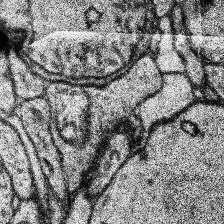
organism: Human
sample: Temporal Lobe